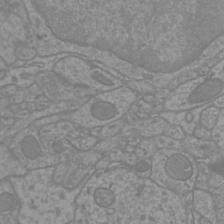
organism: Mouse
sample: Cortical neurons